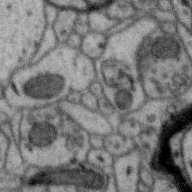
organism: Zebra finch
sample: Brain